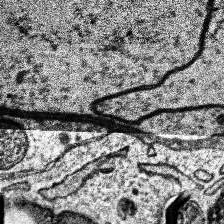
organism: Human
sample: Temporal Lobe